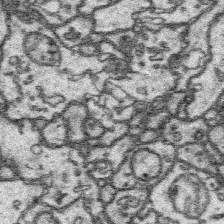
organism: Platynereis dumerilii